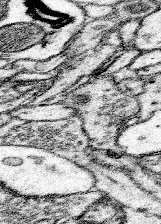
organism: Mouse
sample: Somatosensory cortex neuropil